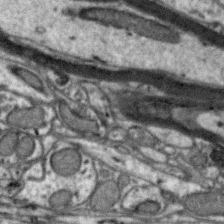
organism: Zebra finch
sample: Brain